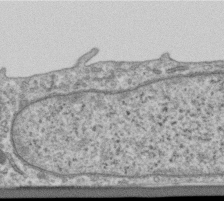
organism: Human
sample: Centriole in RPE cells